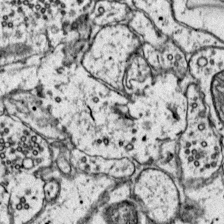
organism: Mouse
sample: Primary visual cortex